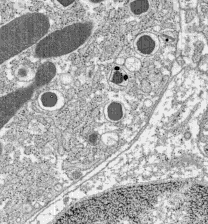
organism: C57BL Mouse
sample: Pancreatic islet